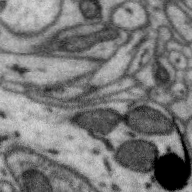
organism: Zebra finch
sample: Brain